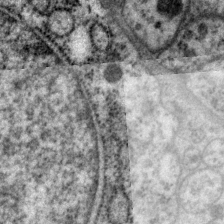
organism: P. pacificus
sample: Pharynx